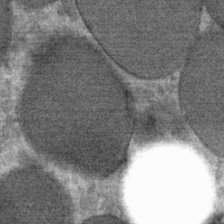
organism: Mouse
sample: Mouse Salivary gland